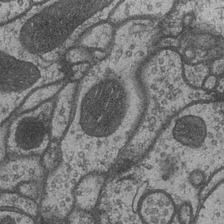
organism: Drosophila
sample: Optic medulla